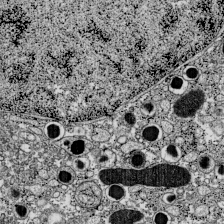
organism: C57BL Mouse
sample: Pancreatic islet